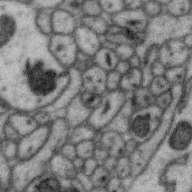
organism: Zebra finch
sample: Brain